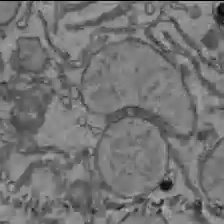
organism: C57BL Mouse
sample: Liver